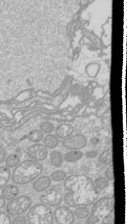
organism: Drosophila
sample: Cell division; meiosis; drosophila spermatocytes